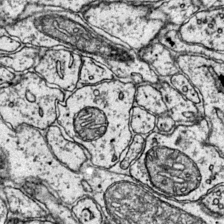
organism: Mouse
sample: Primary visual cortex